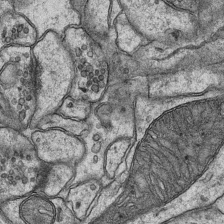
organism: Mouse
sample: CA1 Hippocampus